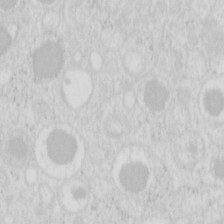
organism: Mouse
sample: Pancreas